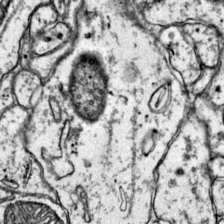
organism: Mouse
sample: Primary visual cortex